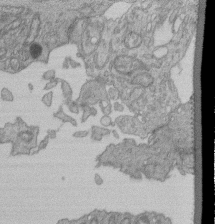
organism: Human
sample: Retinal organoid Rod and Cone cells